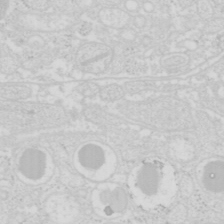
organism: Mouse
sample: Pancreas